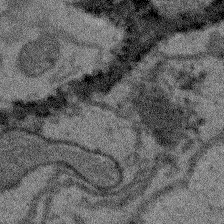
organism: Arabidopsis thaliana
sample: Root tip